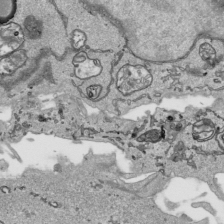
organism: Human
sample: Mitochondria in HCT116 cells